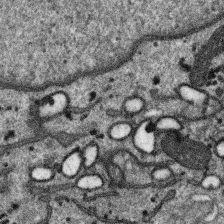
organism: Human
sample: Lung epithelial cells infected with SARS-CoV-2